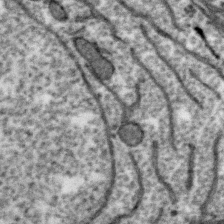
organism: Zebra finch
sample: Brain